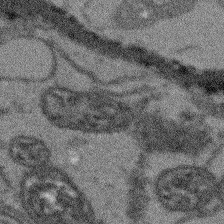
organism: Arabidopsis thaliana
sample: Root tip